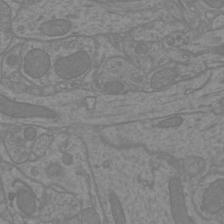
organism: Mouse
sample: Cortical neurons